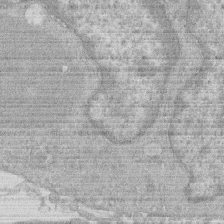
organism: Human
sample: Macrophage cells